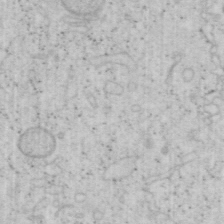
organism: Human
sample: HeLa cells